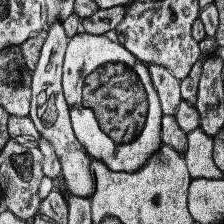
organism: Human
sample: Temporal Lobe